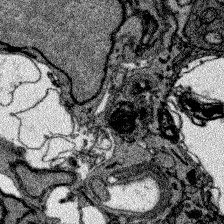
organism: Zebrafish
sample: Larval olfactory bulb